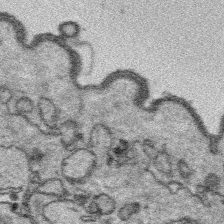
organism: Platynereis dumerilii